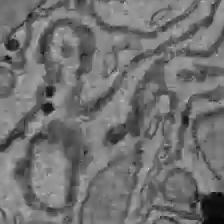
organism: C57BL Mouse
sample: Liver